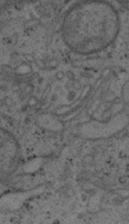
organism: Human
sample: HeLa cells